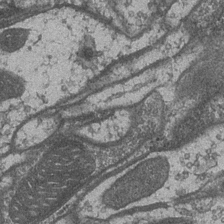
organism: Drosophila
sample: Optic medulla